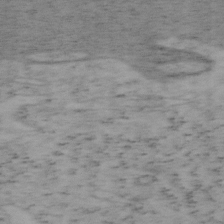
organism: Mouse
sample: OT-I killer T cells with ID8 ovarian cancer cells